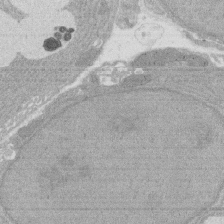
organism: Rat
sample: Salivary granule